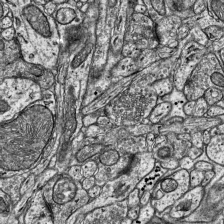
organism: Mouse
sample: Visual Cortex